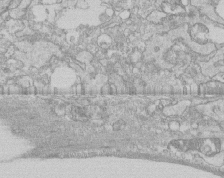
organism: Human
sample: CRL-1474